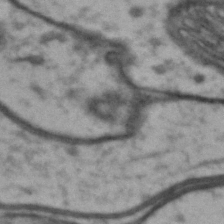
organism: Drosophila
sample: Brain